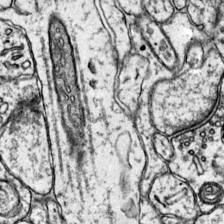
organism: Mouse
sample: Primary visual cortex